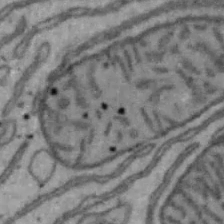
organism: Mouse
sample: Liver